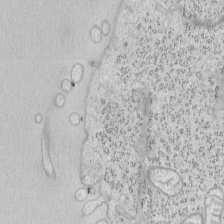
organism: Mouse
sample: OT-I killer T cells with ID8 ovarian cancer cells